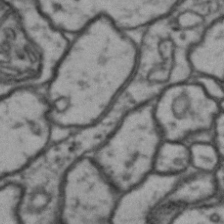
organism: Drosophila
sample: Brain